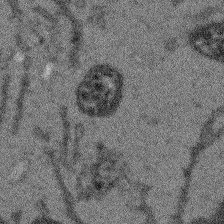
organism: Arabidopsis thaliana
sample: Root tip